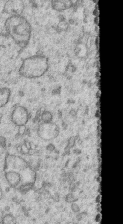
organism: Human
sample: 1205lu cells